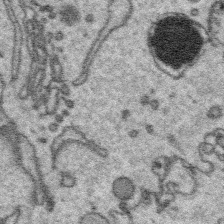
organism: Platynereis dumerilii